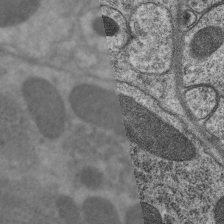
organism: C. elegans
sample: Pharynx